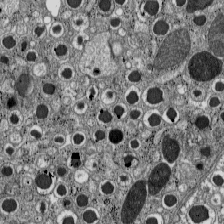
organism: C57BL Mouse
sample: Pancreatic islet